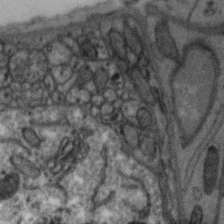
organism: Zebra finch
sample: Brain